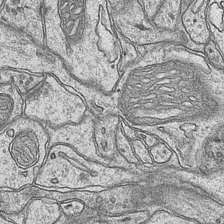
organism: Mouse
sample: CA1 Hippocampus